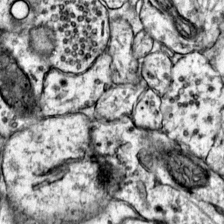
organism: Mouse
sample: Primary visual cortex